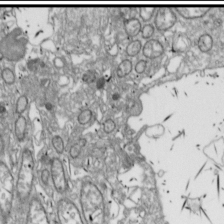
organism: Drosophila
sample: Cell division; meiosis; drosophila spermatocytes